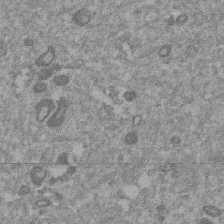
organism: Mouse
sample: Dividing mouse embryo 1 cell stage